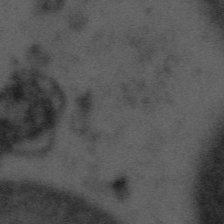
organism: Tuwongella immobilis